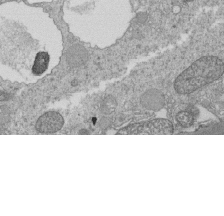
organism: Tetrahymena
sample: Cilia in tetrahymena